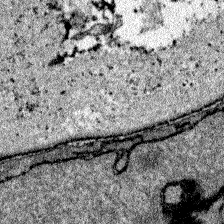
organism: Zebrafish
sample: Larval olfactory bulb